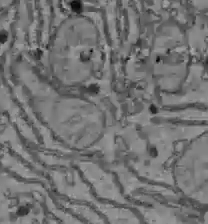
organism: C57BL Mouse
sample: Liver